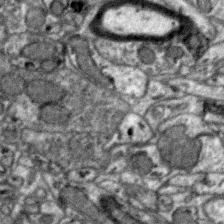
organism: Zebra finch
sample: Brain